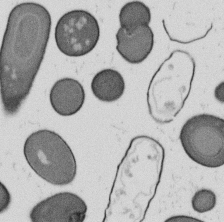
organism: B. subtilis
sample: Bacterial spore